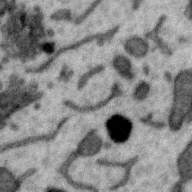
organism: Zebra finch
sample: Brain